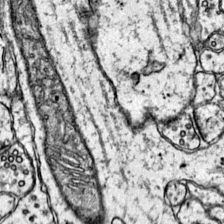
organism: Mouse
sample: Primary visual cortex